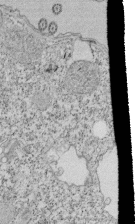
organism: Tetrahymena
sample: Cilia in tetrahymena